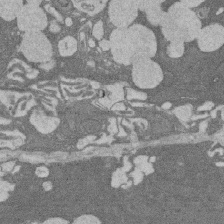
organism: Rat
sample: Salivary granule